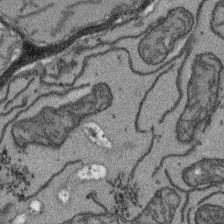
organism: Arabidopsis thaliana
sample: Root tip